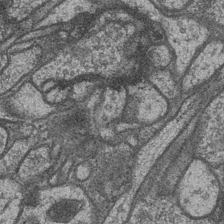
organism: Drosophila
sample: Optic medulla